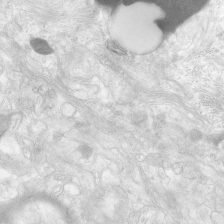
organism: Human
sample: Neocortex